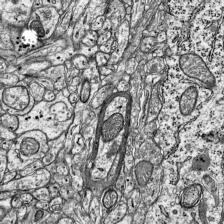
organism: Mouse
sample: Visual Cortex